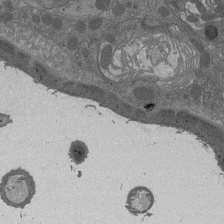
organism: Drosophila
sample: Antenna